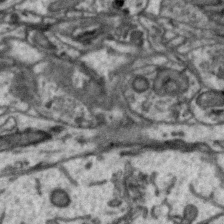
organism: Zebra finch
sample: Brain